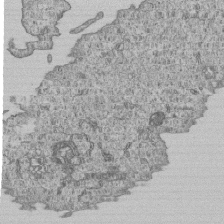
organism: Human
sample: MDA-MB-231 cells